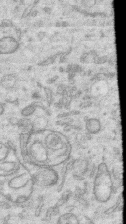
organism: Human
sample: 1205lu cells